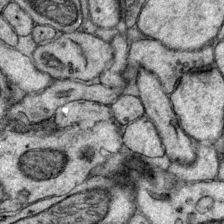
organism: Mouse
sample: Primary visual cortex